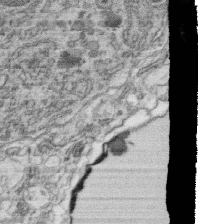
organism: C. elegans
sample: C. elegans oocyte; sperm cells